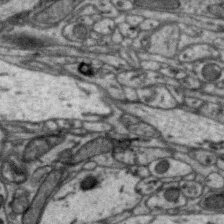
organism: Zebra finch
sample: Brain